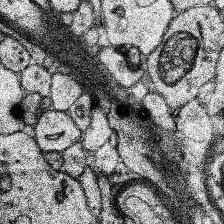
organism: Human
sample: Temporal Lobe